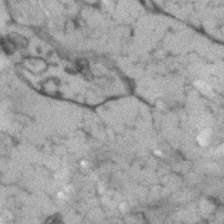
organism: Human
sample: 1205lu cells